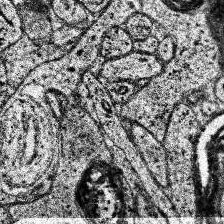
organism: Human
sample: Temporal Lobe